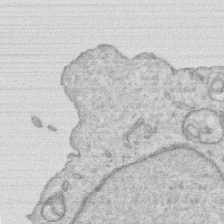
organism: Human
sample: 1205lu cells